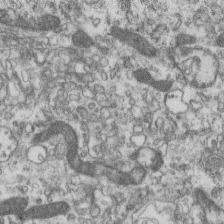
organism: Mouse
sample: Centriole in ependymal cells